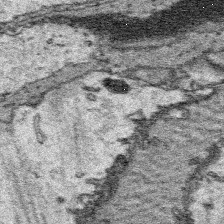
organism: Platynereis dumerilii